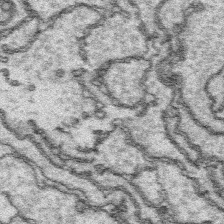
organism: Platynereis dumerilii